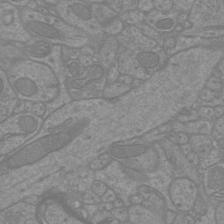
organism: Mouse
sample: Cortical neurons